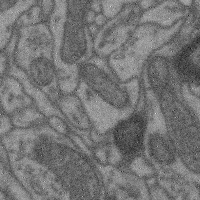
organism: Mouse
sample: Cerebral cortex